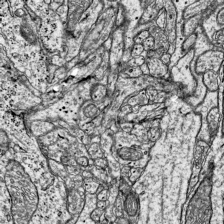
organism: Mouse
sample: Visual Cortex